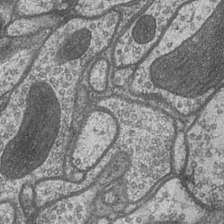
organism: Drosophila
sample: Optic medulla